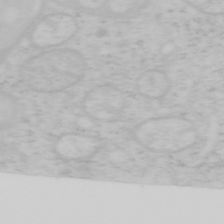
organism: Mouse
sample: OT-I killer T cells with ID8 ovarian cancer cells